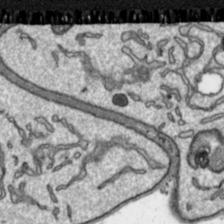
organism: Toxoplasma gondii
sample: Parasites in a vacuole inside a host cell